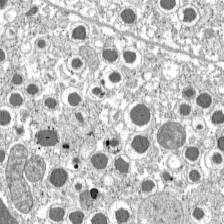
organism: C57BL Mouse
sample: Pancreatic islet